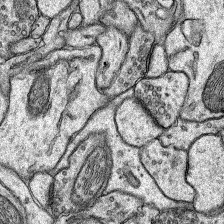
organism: Rat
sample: Hippocampus